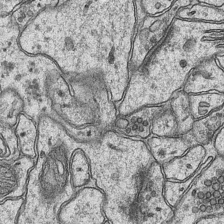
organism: Mouse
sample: CA1 Hippocampus